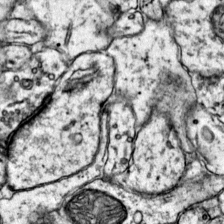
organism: Mouse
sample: Primary visual cortex